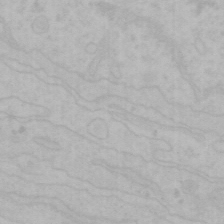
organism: Mouse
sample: Choroid plexus